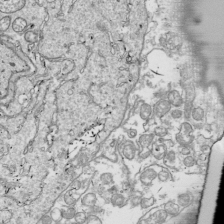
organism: Drosophila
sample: Cell division; meiosis; drosophila spermatocytes